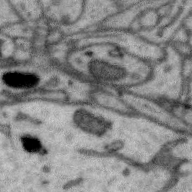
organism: Zebra finch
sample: Brain